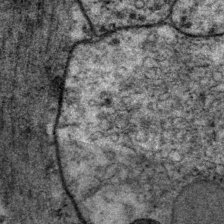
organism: P. pacificus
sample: Pharynx